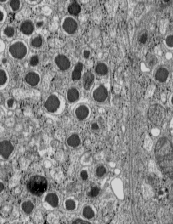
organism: C57BL Mouse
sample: Pancreatic islet